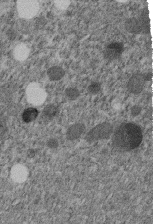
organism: C. elegans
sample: C. elegans embryo early stage